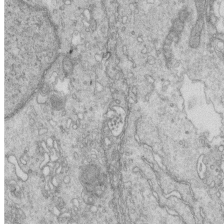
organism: Mouse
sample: Multiciliated cells